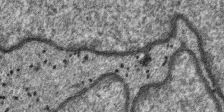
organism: Human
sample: Lung epithelial cells infected with SARS-CoV-2